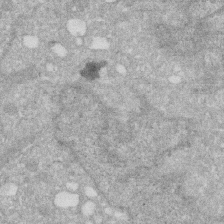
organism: Human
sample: HIV infected U937 cells